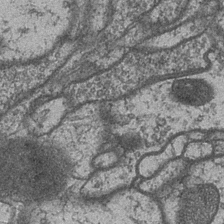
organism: Drosophila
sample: Optic medulla